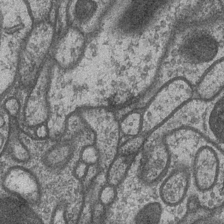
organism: Drosophila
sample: Optic medulla